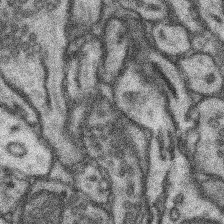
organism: Mouse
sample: Somatosensory cortex neuropil